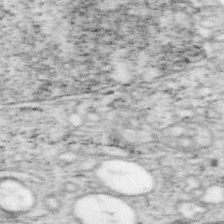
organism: Mouse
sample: OT-I killer T cells with ID8 ovarian cancer cells